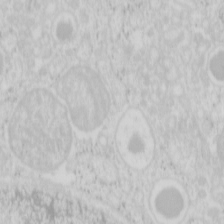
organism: Mouse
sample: Pancreas